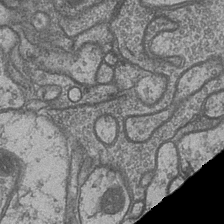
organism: Drosophila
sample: Optic medulla